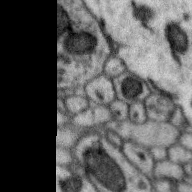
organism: Zebra finch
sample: Brain